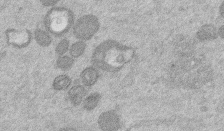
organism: Mouse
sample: Dividing mouse embryo 1 cell stage